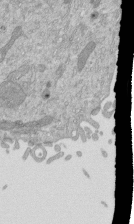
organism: Mouse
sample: ED-1 cell nuclei; centrioles